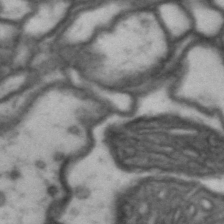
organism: Drosophila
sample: Brain